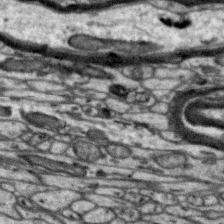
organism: Zebra finch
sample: Brain